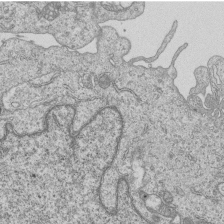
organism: Human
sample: MDA-MB-231 cells